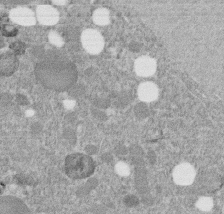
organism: C. elegans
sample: C. elegans embryo early stage